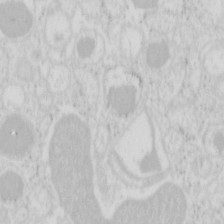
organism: Mouse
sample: Pancreas